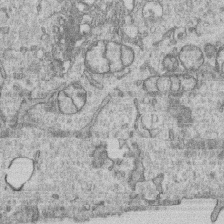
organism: Human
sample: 1205lu cells